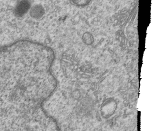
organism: Human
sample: MDA-MB-231 cells